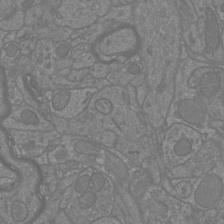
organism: Mouse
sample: Cortical neurons